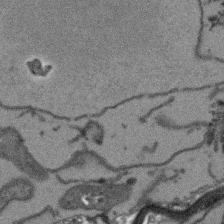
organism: Arabidopsis thaliana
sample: Root tip